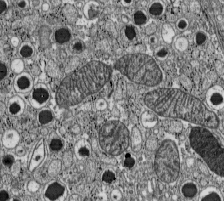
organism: C57BL Mouse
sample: Pancreatic islet